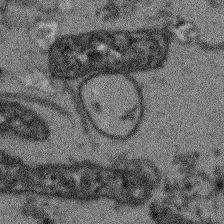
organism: Arabidopsis thaliana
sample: Root tip